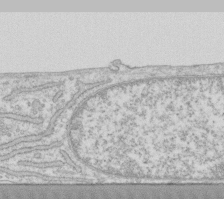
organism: Human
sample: Fibroblast cells